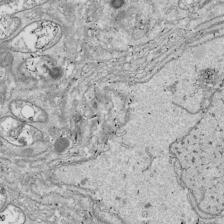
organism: Drosophila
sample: Cell division; meiosis; drosophila spermatocytes